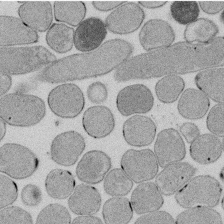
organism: E. coli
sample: Bacterial nucleoid